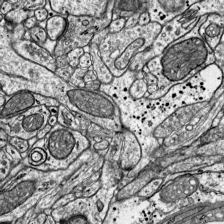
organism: Mouse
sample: Visual Cortex